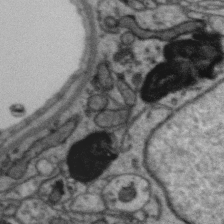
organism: Zebra finch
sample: Brain